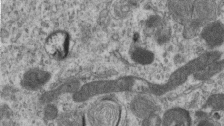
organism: Mouse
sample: Centriole in ependymal cells